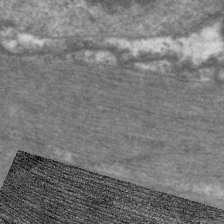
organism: C. elegans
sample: Pharynx